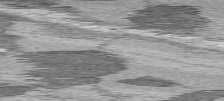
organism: C57BL Mouse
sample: Heart